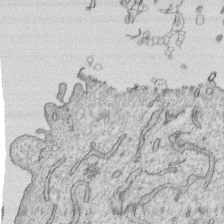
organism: Human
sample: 1205lu cells